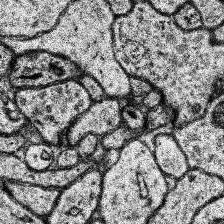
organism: Human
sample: Temporal Lobe